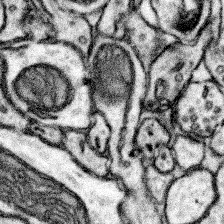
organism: Mouse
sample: Somatosensory cortex neuropil